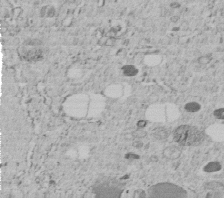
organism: C. elegans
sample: C. elegans embryo early stage